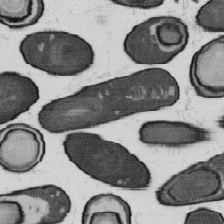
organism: B. subtilis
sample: Bacterial spore